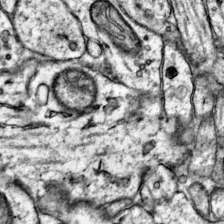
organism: Mouse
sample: Primary visual cortex